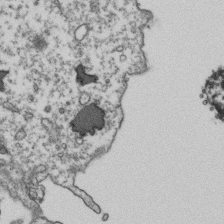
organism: Human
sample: Activated Jurkat CD4+ T cells